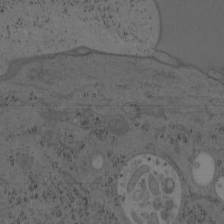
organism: Mouse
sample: OT-I killer T cells with ID8 ovarian cancer cells